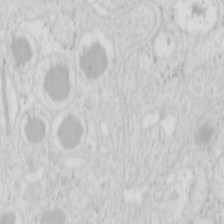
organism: Mouse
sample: Pancreas